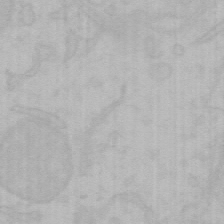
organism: Mouse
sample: Choroid plexus